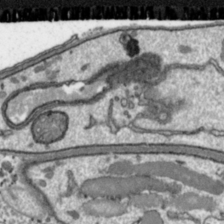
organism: Toxoplasma gondii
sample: Parasites in a vacuole inside a host cell